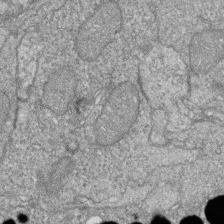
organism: Zebrafish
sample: Cilia; retinal pigment epithelium